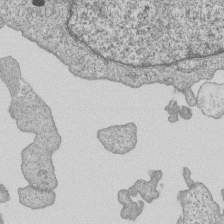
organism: Human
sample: MDA-MB-231 cells